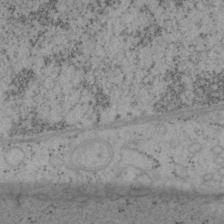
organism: Human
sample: HeLa cells